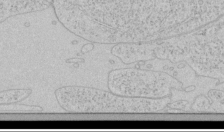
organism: Human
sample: Mitochondria in HCT116 cells